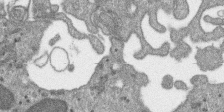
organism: Human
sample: Lung epithelial cells infected with SARS-CoV-2